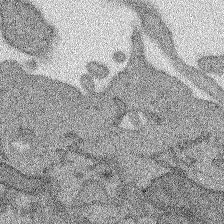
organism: Human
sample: HeLa cells